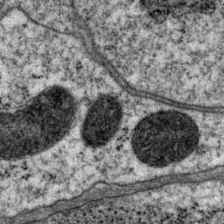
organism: P. pacificus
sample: Pharynx